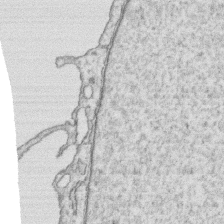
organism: Human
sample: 1205lu cells